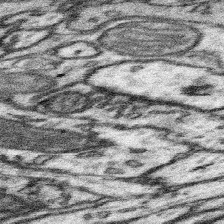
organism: Mouse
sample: Somatosensory cortex neuropil